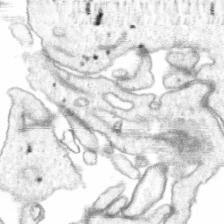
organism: Human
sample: HeLa cells